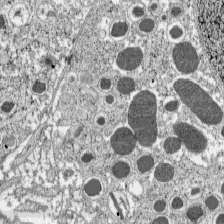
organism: C57BL Mouse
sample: Pancreatic islet